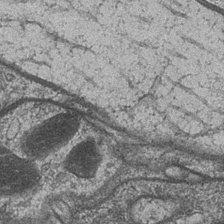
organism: Drosophila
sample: Optic medulla